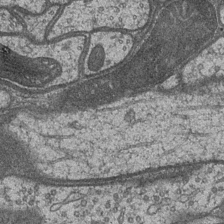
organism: Drosophila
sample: Optic medulla